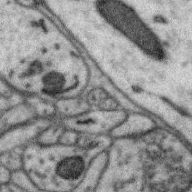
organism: Zebra finch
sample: Brain